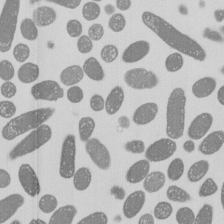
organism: E. coli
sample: Bacterial nucleoid